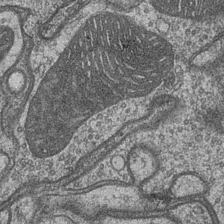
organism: Drosophila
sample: Optic medulla